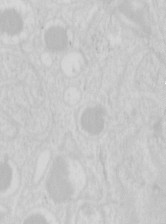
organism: Mouse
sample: Pancreas